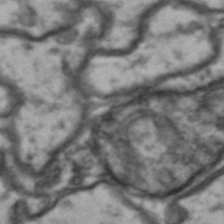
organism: Drosophila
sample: Brain